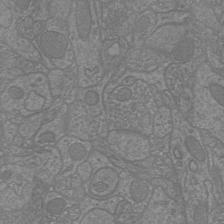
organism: Mouse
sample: Cortical neurons